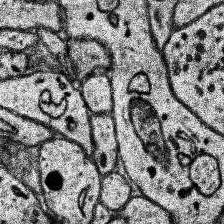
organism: Human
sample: Temporal Lobe